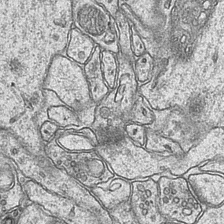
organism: Mouse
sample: CA1 Hippocampus